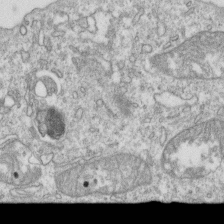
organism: Mouse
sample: Activated OT-1 CD8+ T cells